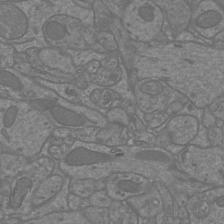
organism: Mouse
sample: Cortical neurons